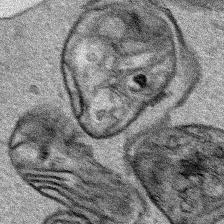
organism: Human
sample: Mitochondria in HCT116 cells